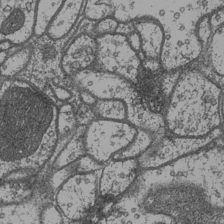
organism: Drosophila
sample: Optic medulla